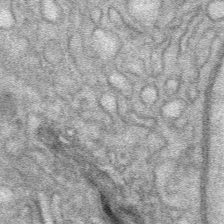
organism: Mouse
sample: Mouse Salivary gland